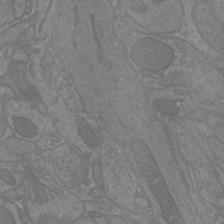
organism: Mouse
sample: Cortical neurons